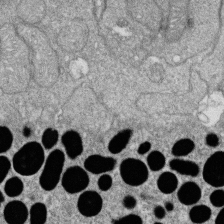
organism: Zebrafish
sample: Cilia; retinal pigment epithelium